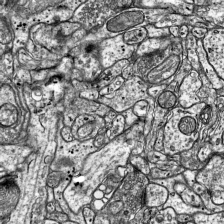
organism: Mouse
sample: Visual Cortex